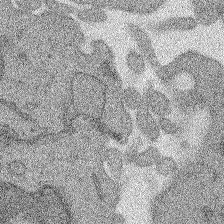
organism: Human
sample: HeLa cells